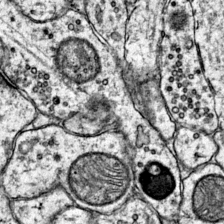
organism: Mouse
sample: Primary visual cortex